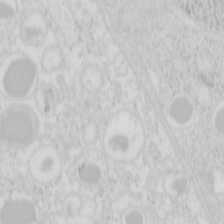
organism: Mouse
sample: Pancreas